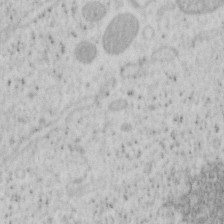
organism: Human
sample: HeLa cells